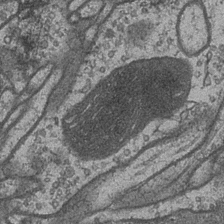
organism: Drosophila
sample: Optic medulla